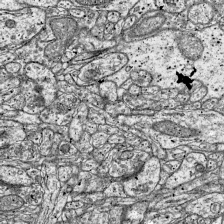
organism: Mouse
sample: Visual Cortex